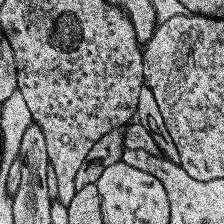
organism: Human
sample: Temporal Lobe